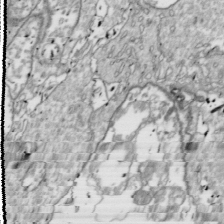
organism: Drosophila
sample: Cell division; meiosis; drosophila spermatocytes